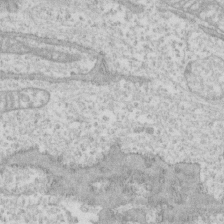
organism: Human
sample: CRL-1474